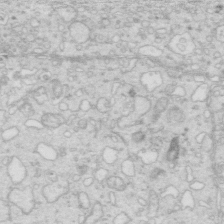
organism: Mouse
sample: Multiciliated cells